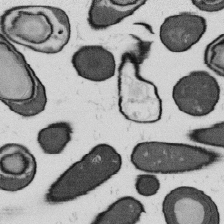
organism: B. subtilis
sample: Bacterial spore